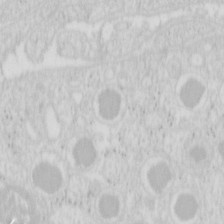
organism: Mouse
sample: Pancreas